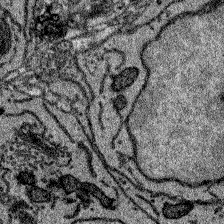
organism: Zebrafish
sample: Larval olfactory bulb